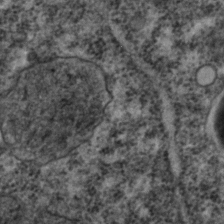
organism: C. elegans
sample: C. elegans embryo